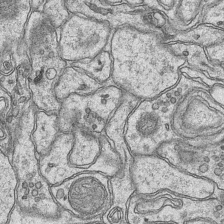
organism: Mouse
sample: CA1 Hippocampus